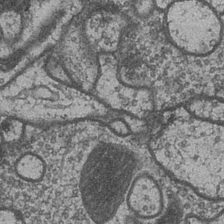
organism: Drosophila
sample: Optic medulla